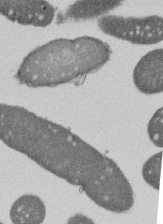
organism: E. coli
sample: Bacterial nucleoid